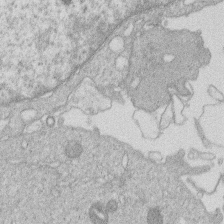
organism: Human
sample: Macrophage cells